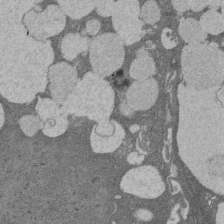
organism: Rat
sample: Salivary granule